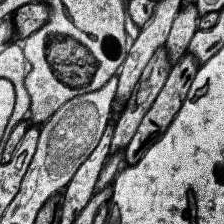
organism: Human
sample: Temporal Lobe